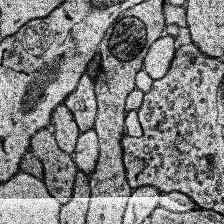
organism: Human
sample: Temporal Lobe